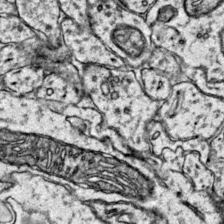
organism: Mouse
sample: Primary visual cortex